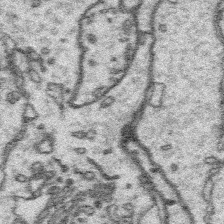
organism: Platynereis dumerilii